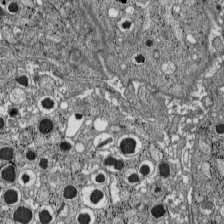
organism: C57BL Mouse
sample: Pancreatic islet